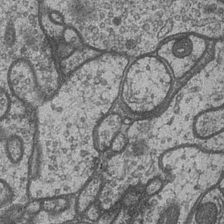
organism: Drosophila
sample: Optic medulla